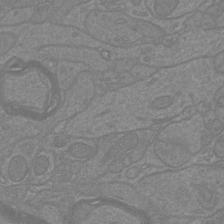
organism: Mouse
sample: Cortical neurons